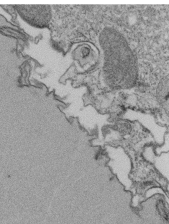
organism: Tetrahymena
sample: Cilia in tetrahymena